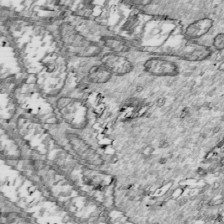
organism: Drosophila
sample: Cell division; meiosis; drosophila spermatocytes